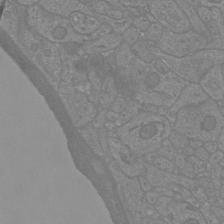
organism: Mouse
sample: Cortical neurons